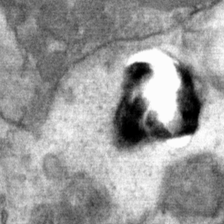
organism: Mouse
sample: Mouse Salivary gland